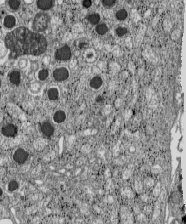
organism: C57BL Mouse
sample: Pancreatic islet